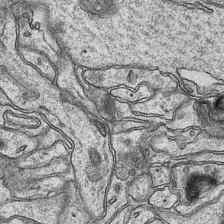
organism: Mouse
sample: CA1 Hippocampus